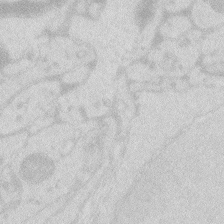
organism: Zebrafish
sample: Macrophage